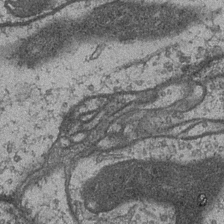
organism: Drosophila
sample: Optic medulla